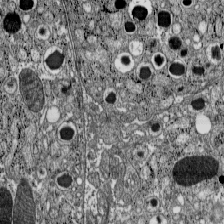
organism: C57BL Mouse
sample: Pancreatic islet